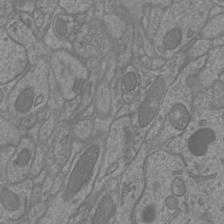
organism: Mouse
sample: Cortical neurons